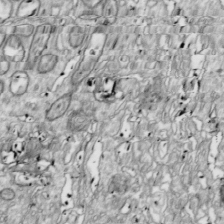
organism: Drosophila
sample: Cell division; meiosis; drosophila spermatocytes